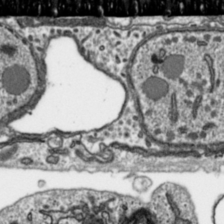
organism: Toxoplasma gondii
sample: Parasites in a vacuole inside a host cell